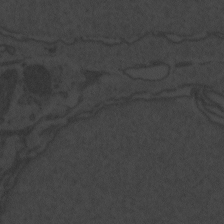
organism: Zebrafish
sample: Macrophage infected with Toxoplasma gondii